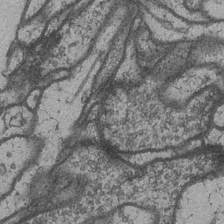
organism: Drosophila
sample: Optic medulla